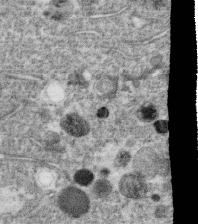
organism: C. elegans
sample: C. elegans oocyte; sperm cells